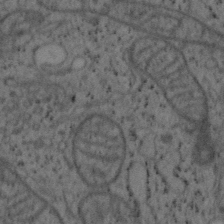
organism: Human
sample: HeLa cells